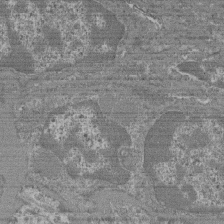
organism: Mouse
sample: Glomerulus